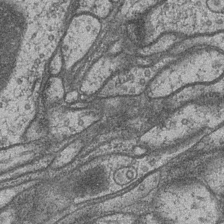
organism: Drosophila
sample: Optic medulla